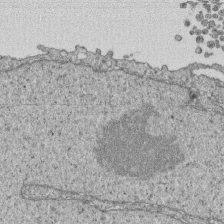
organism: Human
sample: HeLa cell HIV synapse